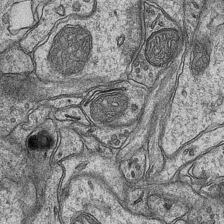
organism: Mouse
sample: CA1 Hippocampus